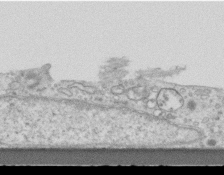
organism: Mouse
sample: Centriole in ependymal cells